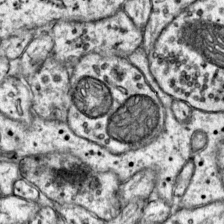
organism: Mouse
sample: Primary visual cortex